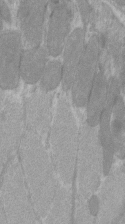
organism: C57BL Mouse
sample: Tibialis anterior muscle cell